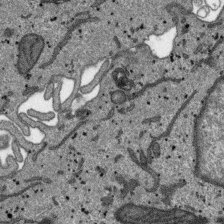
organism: Human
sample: Lung epithelial cells, uninfected (mock) control